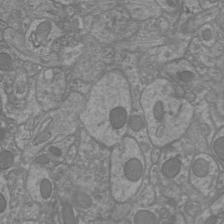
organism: Mouse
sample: Cortical neurons